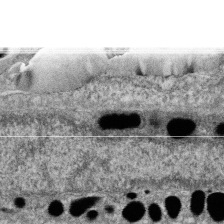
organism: Zebrafish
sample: Cilia; retinal pigment epithelium